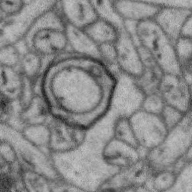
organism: Zebra finch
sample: Brain